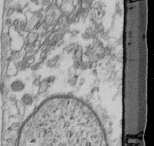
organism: Mouse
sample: Cilia; retinal pigment epithelium